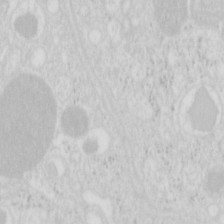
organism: Mouse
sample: Pancreas